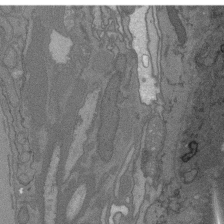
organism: C. elegans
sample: AFD neurons C. elegans